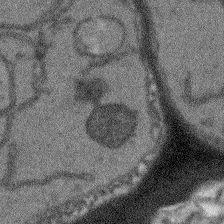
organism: Arabidopsis thaliana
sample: Root tip